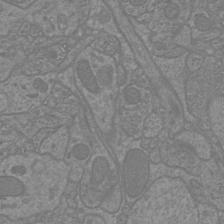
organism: Mouse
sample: Cortical neurons